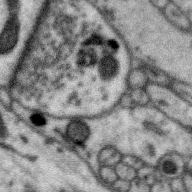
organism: Zebra finch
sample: Brain